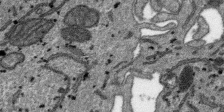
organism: Human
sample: Lung epithelial cells, uninfected (mock) control